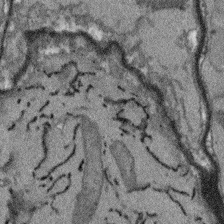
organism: Arabidopsis thaliana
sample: Root tip